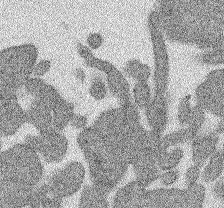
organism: Human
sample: HeLa cells